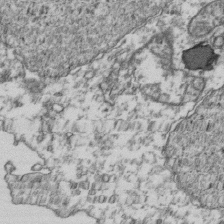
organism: Human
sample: Activated Jurkat CD4+ T cells